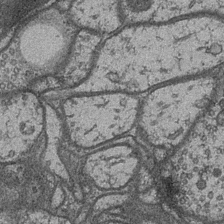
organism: Drosophila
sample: Optic medulla